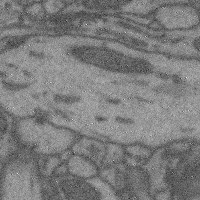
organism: Mouse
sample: Cerebral cortex